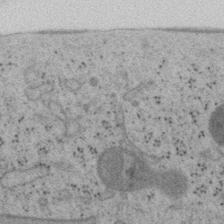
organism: Human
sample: HeLa cells